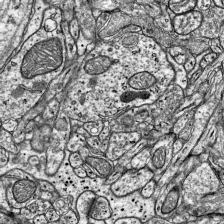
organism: Mouse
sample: Visual Cortex